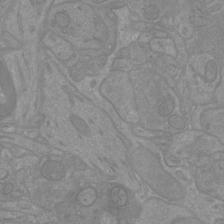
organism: Mouse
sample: Cortical neurons